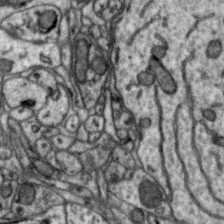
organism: Zebra finch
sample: Brain